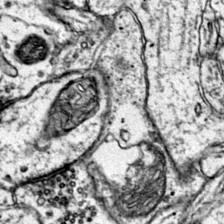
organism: Mouse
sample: Primary visual cortex